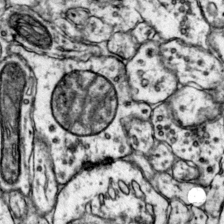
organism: Mouse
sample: Primary visual cortex